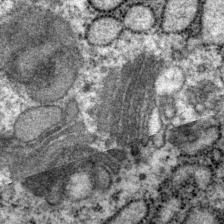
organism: P. pacificus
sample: Pharynx